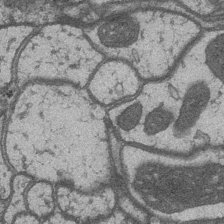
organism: Drosophila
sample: Optic medulla